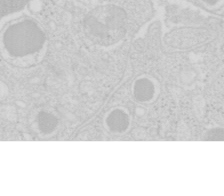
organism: Mouse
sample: Pancreas